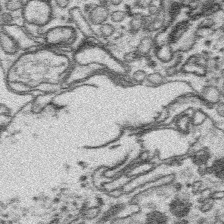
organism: Platynereis dumerilii